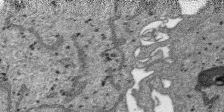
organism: Human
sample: Lung epithelial cells infected with SARS-CoV-2